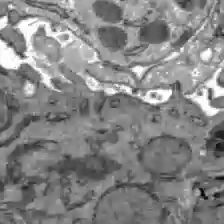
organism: C57BL Mouse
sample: Liver